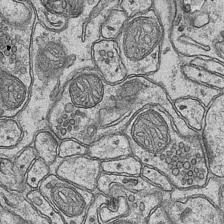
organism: Mouse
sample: CA1 Hippocampus